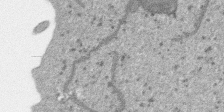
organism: Human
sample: Lung epithelial cells infected with SARS-CoV-2